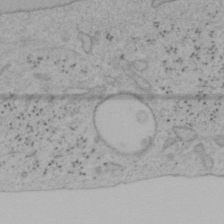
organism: Human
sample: HeLa cells